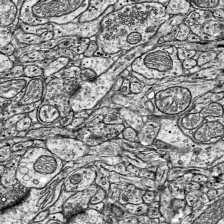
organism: Mouse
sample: Visual Cortex